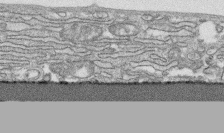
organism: Human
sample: CRL-1474